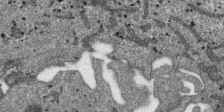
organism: Human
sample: Lung epithelial cells infected with SARS-CoV-2